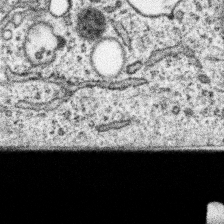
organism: Human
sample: HeLa cells